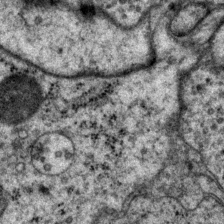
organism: P. pacificus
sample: Pharynx